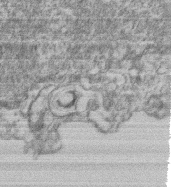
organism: Mouse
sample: T cell stromal cell synapse